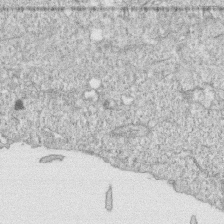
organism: Human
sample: HeLa cell HIV synapse